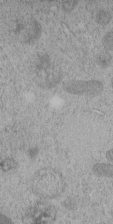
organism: C. elegans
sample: C. elegans embryo early stage